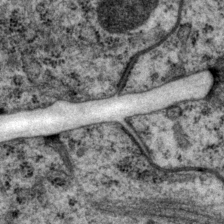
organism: P. pacificus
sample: Pharynx